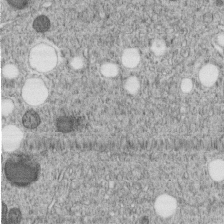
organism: C. elegans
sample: C. elegans embryo early stage